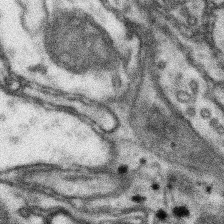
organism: Mouse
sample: Somatosensory cortex neuropil